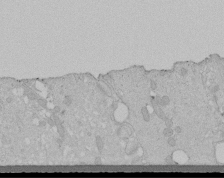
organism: Human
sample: Melanocyte Keratinocyte synapse skin construct